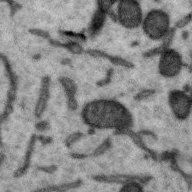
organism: Zebra finch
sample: Brain